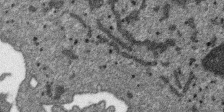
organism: Human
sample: Lung epithelial cells infected with SARS-CoV-2